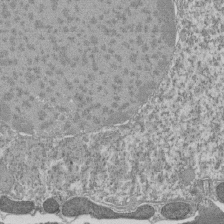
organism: Tetrahymena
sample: Cilia in tetrahymena